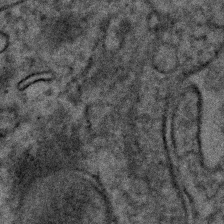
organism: Human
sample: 1205lu cells